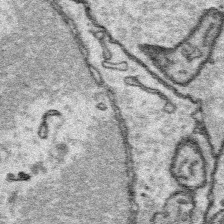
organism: Platynereis dumerilii